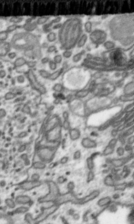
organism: Toxoplasma gondii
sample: Parasites in a vacuole inside a host cell